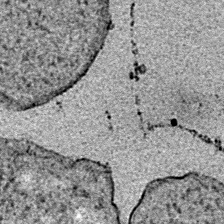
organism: E. coli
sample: E. Coli Bacteria